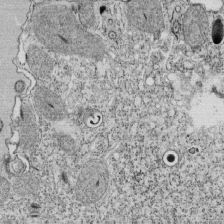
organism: Tetrahymena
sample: Cilia in tetrahymena